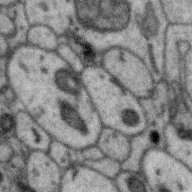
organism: Zebra finch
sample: Brain